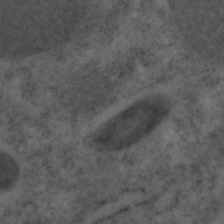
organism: C. elegans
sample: C. elegans embryo